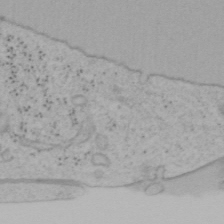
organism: Human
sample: HeLa cells